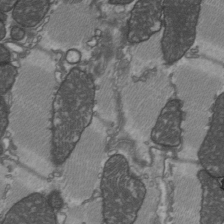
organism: C57BL Mouse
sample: Heart